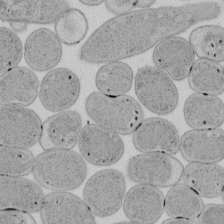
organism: E. coli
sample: Bacterial nucleoid